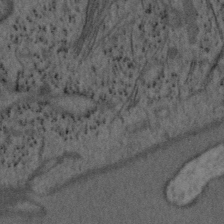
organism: Human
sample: HeLa cells